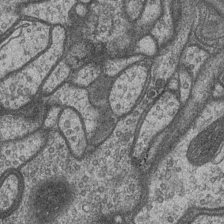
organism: Drosophila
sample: Optic medulla